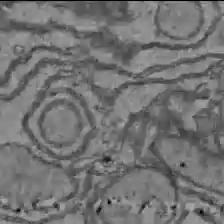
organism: C57BL Mouse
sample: Liver